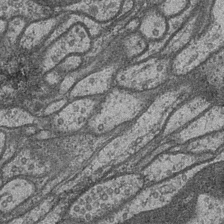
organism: Drosophila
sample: Optic medulla